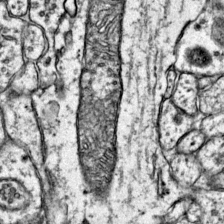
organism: Mouse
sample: Primary visual cortex